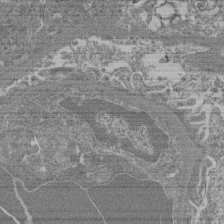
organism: Mouse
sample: Glomerulus